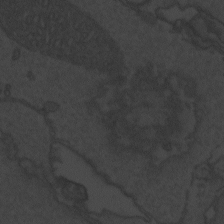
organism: Zebrafish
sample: Macrophage infected with Toxoplasma gondii